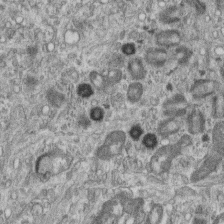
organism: Mouse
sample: Centriole in ependymal cells